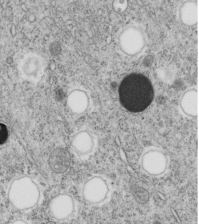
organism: C. elegans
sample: C. elegans embryo early stage